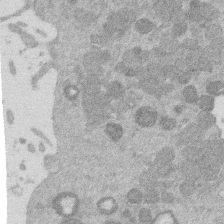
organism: Mouse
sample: Dividing mouse embryo 1 cell stage